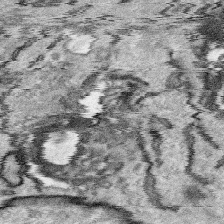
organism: Human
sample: HeLa cells